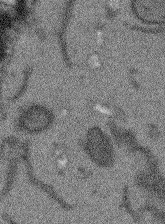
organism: Arabidopsis thaliana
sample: Root tip